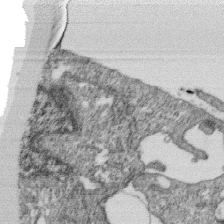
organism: African green monkey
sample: Vero E6 cells infected with SARS-CoV-2